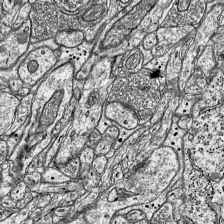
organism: Mouse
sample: Visual Cortex